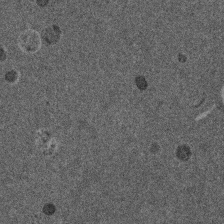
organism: Mouse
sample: Dividing mouse embryo 1 cell stage